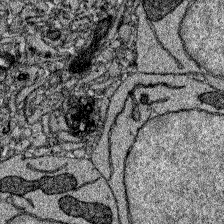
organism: Zebrafish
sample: Larval olfactory bulb